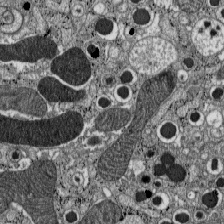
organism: C57BL Mouse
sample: Pancreatic islet